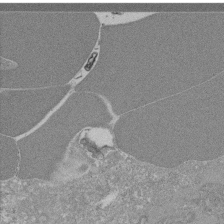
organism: Mouse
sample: Glomerulus